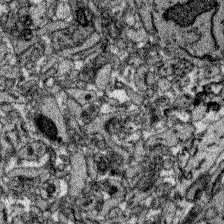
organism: Zebrafish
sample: Larval olfactory bulb